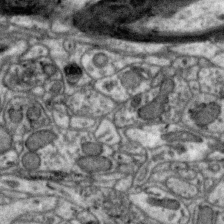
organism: Zebra finch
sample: Brain